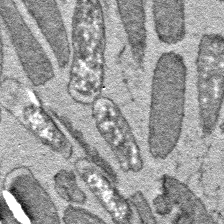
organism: E. coli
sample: E. Coli Bacteria